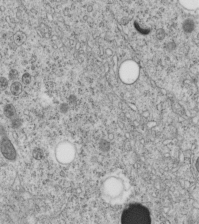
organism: C. elegans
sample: C. elegans embryo early stage